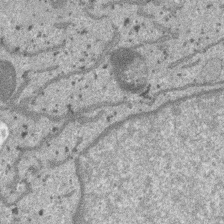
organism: Human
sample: Lung epithelial cells infected with SARS-CoV-2